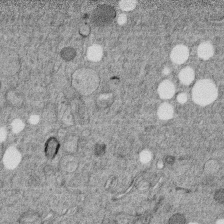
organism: C. elegans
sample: C. elegans embryo early stage